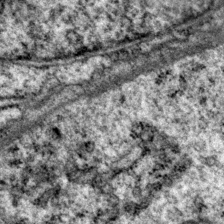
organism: P. pacificus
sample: Pharynx